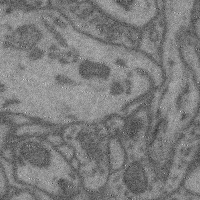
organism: Mouse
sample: Cerebral cortex